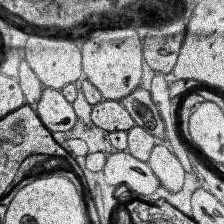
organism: Human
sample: Temporal Lobe